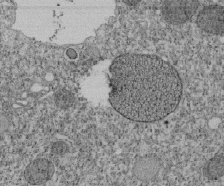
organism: Tetrahymena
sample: Cilia in tetrahymena